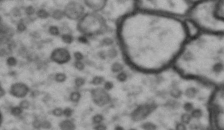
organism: Drosophila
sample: Brain